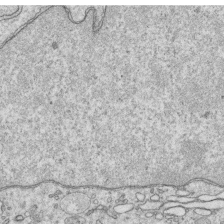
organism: Human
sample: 1205lu cells